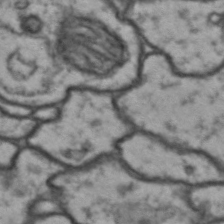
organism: Drosophila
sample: Brain